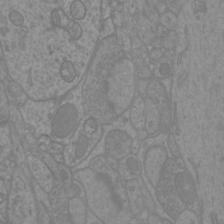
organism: Mouse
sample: Cortical neurons